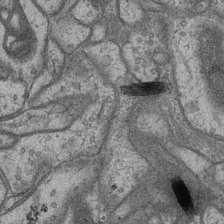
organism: Drosophila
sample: Optic medulla